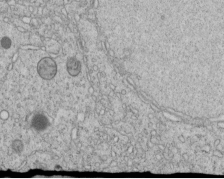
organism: C. elegans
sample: C. elegans embryo early stage